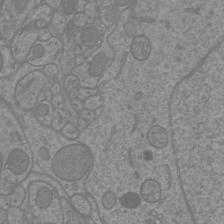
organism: Mouse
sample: Cortical neurons